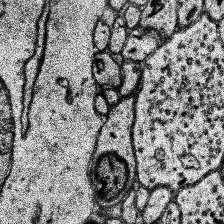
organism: Human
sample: Temporal Lobe